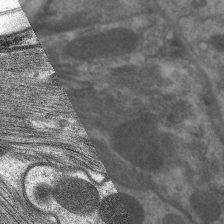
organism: C. elegans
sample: Pharynx